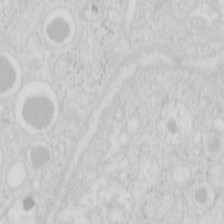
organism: Mouse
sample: Pancreas